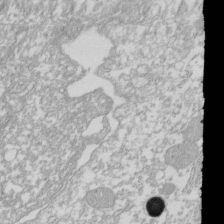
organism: Xenopus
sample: Cilia; centrioles in frog embryo cells